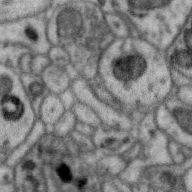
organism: Zebra finch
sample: Brain